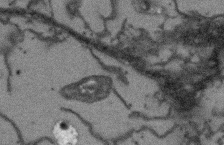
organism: Arabidopsis thaliana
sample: Root tip